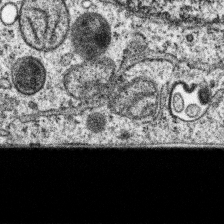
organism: Human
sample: HeLa cells